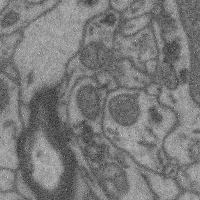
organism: Mouse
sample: Cerebral cortex